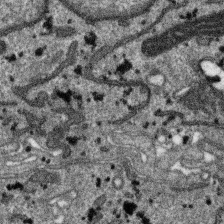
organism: Human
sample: Lung epithelial cells infected with SARS-CoV-2